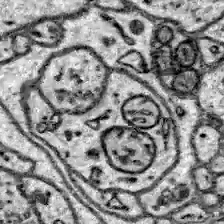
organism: Zebrafish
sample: Brain